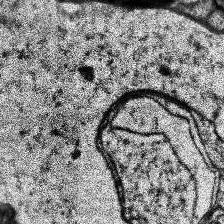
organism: Human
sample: Temporal Lobe